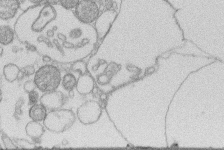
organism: Human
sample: Macrophage cells